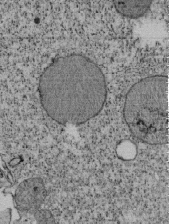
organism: Tetrahymena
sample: Cilia in tetrahymena